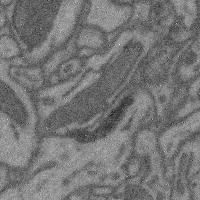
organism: Mouse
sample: Cerebral cortex